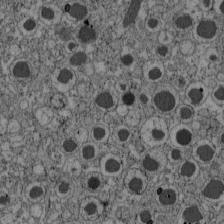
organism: C57BL Mouse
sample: Pancreatic islet